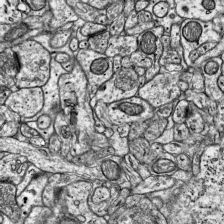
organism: Mouse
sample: Visual Cortex